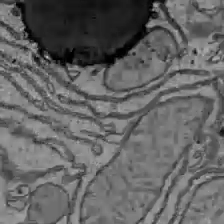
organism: C57BL Mouse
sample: Liver